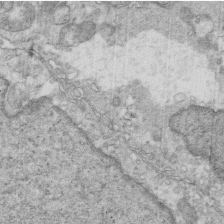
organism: Mouse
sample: Multiciliated cells